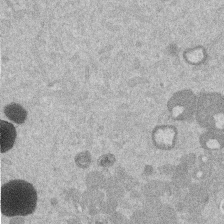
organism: Mouse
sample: Dividing mouse embryo 1 cell stage